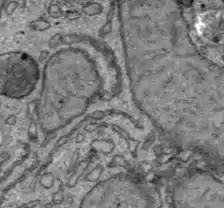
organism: C57BL Mouse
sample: Liver